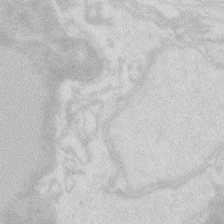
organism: Zebrafish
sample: Macrophage